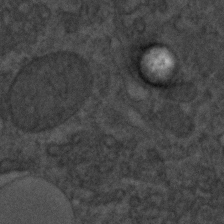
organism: C. elegans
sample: C. elegans embryo